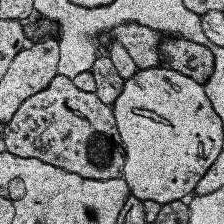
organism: Human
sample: Temporal Lobe